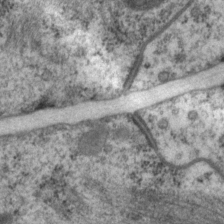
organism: P. pacificus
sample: Pharynx